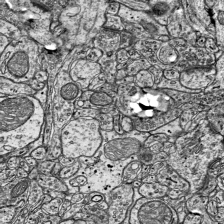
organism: Mouse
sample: Visual Cortex